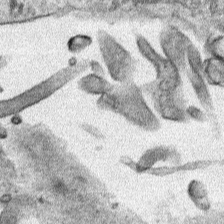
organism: Human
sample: Mitochondria in HCT116 cells